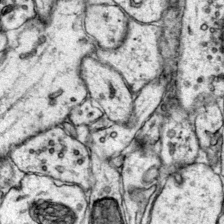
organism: Mouse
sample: Primary visual cortex